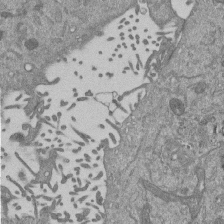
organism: Mouse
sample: ED-1 cell nuclei; centrioles